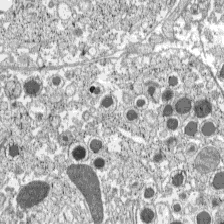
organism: C57BL Mouse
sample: Pancreatic islet